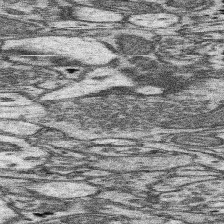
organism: Mouse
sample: Somatosensory cortex neuropil